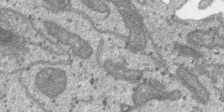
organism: Human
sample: Lung epithelial cells infected with SARS-CoV-2